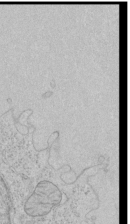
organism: Human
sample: Mitochondria in HCT116 cells